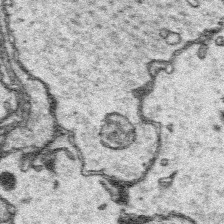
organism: Platynereis dumerilii